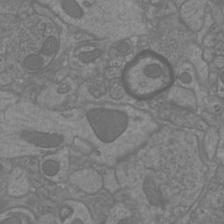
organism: Mouse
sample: Cortical neurons